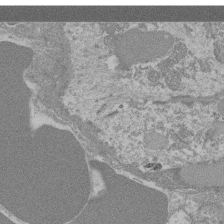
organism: Mouse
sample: Glomerulus